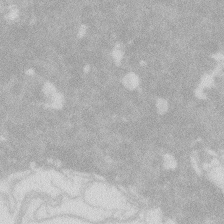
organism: Zebrafish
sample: Macrophage